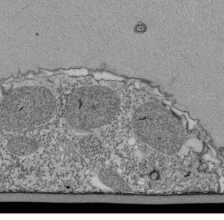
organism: Tetrahymena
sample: Cilia in tetrahymena